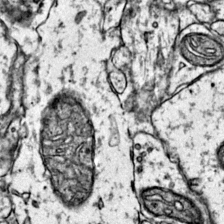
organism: Mouse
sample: Primary visual cortex